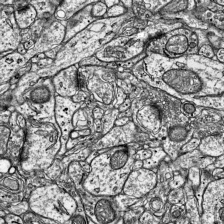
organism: Mouse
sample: Visual Cortex